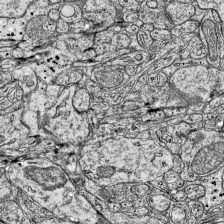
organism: Mouse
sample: Visual Cortex